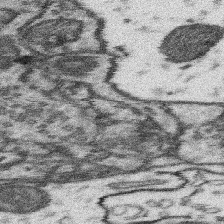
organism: Mouse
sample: Somatosensory cortex neuropil